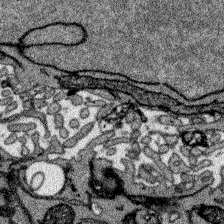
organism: Zebrafish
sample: Larval olfactory bulb